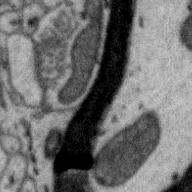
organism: Zebra finch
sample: Brain